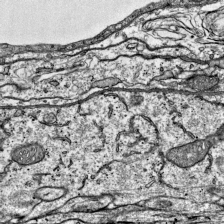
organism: Mouse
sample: Visual Cortex